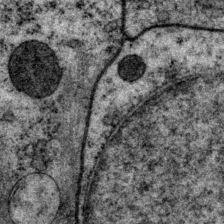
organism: P. pacificus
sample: Pharynx